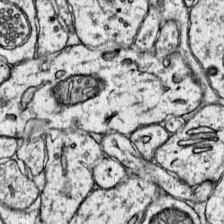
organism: Mouse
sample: Primary visual cortex